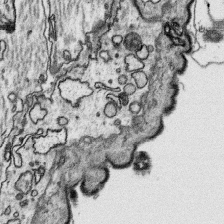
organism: Platynereis dumerilii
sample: Parapodia